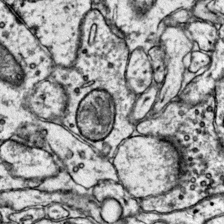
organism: Mouse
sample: Primary visual cortex